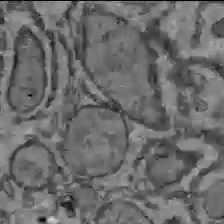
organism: C57BL Mouse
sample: Liver